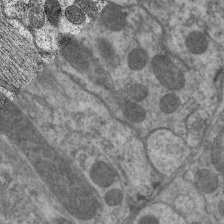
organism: C. elegans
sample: Pharynx